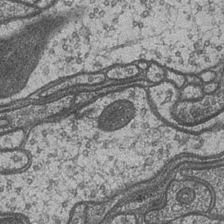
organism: Drosophila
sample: Optic medulla